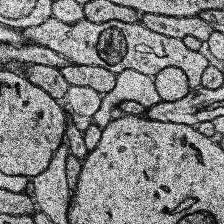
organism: Human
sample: Temporal Lobe